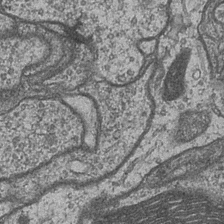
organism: Drosophila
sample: Optic medulla